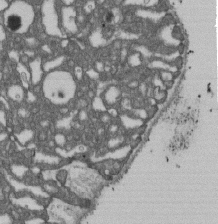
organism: Drosophila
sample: Nephrocyte